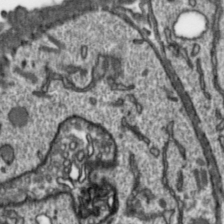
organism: Toxoplasma gondii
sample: Parasites in a vacuole inside a host cell